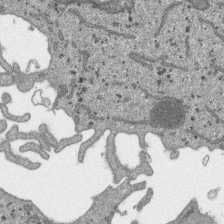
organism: Human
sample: Lung epithelial cells infected with SARS-CoV-2